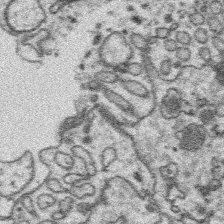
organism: Platynereis dumerilii